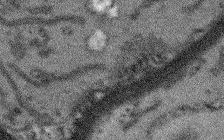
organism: Arabidopsis thaliana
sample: Root tip